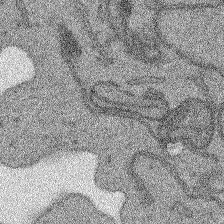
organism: Human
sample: HeLa cells